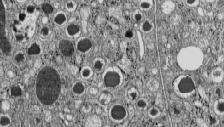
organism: C57BL Mouse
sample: Pancreatic islet